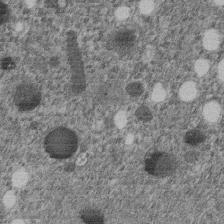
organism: C. elegans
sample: C. elegans embryo early stage